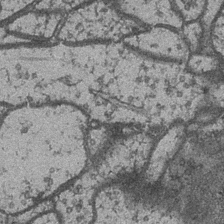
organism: Drosophila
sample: Optic medulla